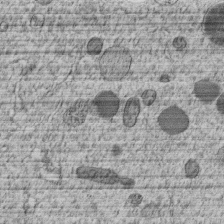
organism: C. elegans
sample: C. elegans embryo early stage